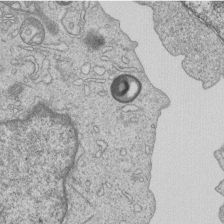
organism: Human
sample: MDA-MB-231 cells